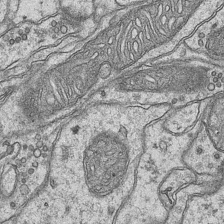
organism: Mouse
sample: CA1 Hippocampus